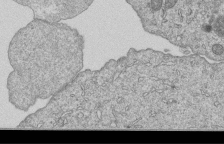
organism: Human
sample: MDA-MB-231 cells